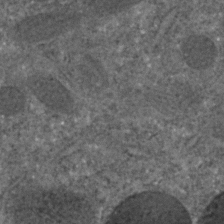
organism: C. elegans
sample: C. elegans embryo